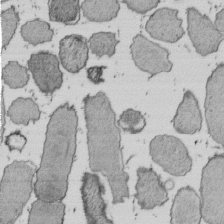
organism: E. coli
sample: Bacterial nucleoid